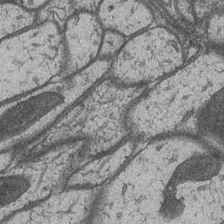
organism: Drosophila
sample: Optic medulla